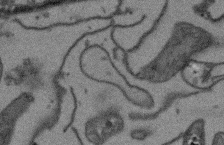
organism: Arabidopsis thaliana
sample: Root tip